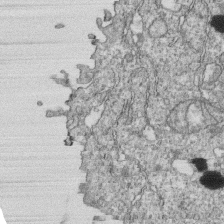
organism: Human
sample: HeLa cell HIV synapse